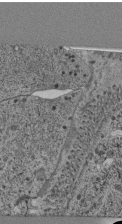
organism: C. elegans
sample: C. elegans pharynx